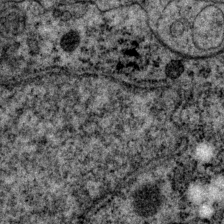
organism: P. pacificus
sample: Pharynx